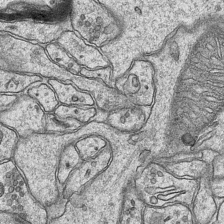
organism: Mouse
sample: CA1 Hippocampus